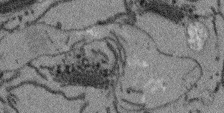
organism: Arabidopsis thaliana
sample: Root tip